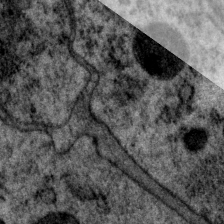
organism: P. pacificus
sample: Pharynx